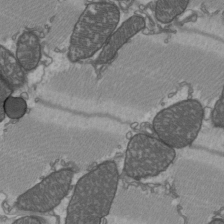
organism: C57BL Mouse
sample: Heart